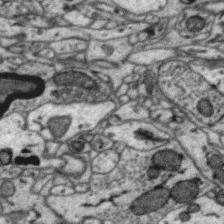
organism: Zebra finch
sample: Brain